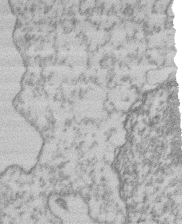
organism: Mouse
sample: T cell stromal cell synapse